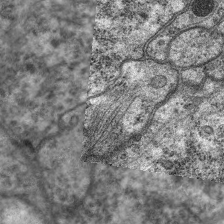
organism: C. elegans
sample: Pharynx